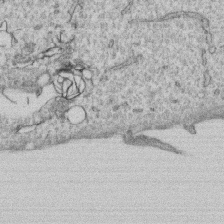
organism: Human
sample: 1205lu cells